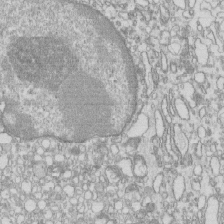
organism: Mouse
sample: Macrophages